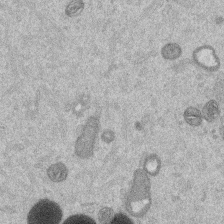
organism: Mouse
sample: Dividing mouse embryo 1 cell stage